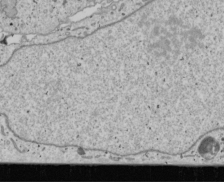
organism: Human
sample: Mitochondria in U2OS cells